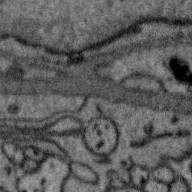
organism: Zebra finch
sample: Brain